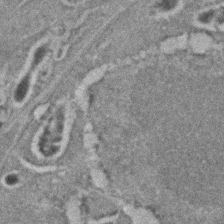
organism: C. elegans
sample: C. elegans embryo